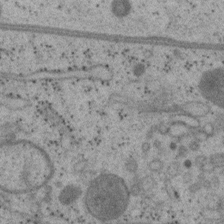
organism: Human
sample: HeLa cells